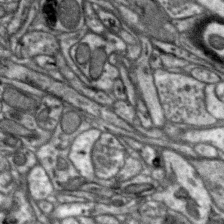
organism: Zebra finch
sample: Brain